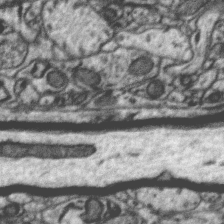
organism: Zebra finch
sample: Brain